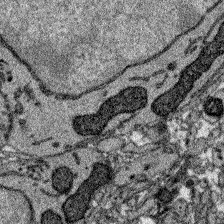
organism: Zebrafish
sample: Larval olfactory bulb